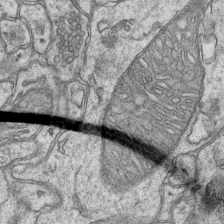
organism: Mouse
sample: CA1 Hippocampus